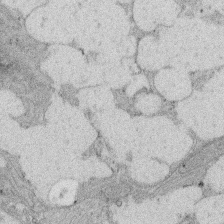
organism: Rat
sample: Salivary granule